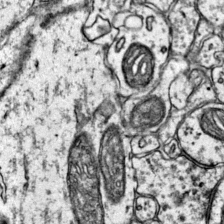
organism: Mouse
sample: Primary visual cortex